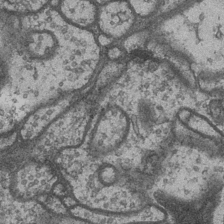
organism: Drosophila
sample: Optic medulla